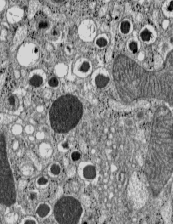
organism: C57BL Mouse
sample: Pancreatic islet